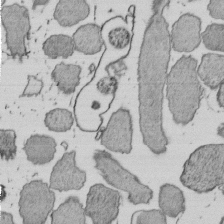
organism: E. coli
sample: Bacterial nucleoid